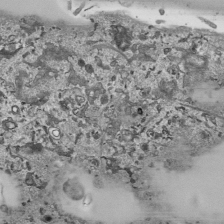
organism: Human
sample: Mitochondria in HCT116 cells